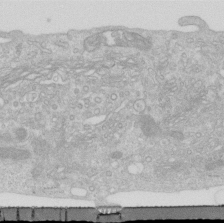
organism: Human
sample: Centriole in RPE cells